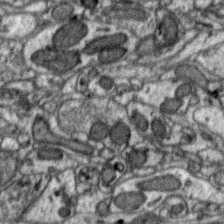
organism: Zebra finch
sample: Brain